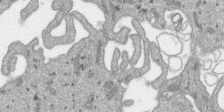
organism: Human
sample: Lung epithelial cells infected with SARS-CoV-2